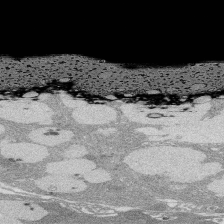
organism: Rat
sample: Salivary granule